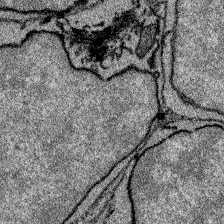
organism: Zebrafish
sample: Larval olfactory bulb